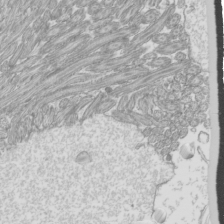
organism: Mouse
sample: Cilia; mouse epididymis